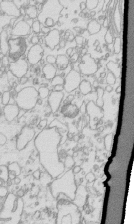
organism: Mouse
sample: Macrophages